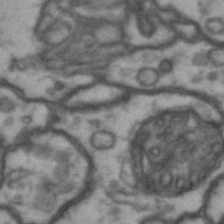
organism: Drosophila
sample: Brain